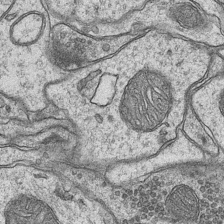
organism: Mouse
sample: CA1 Hippocampus